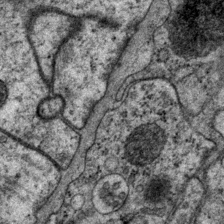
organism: P. pacificus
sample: Pharynx